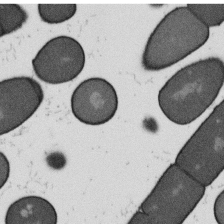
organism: B. subtilis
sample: Bacterial spore